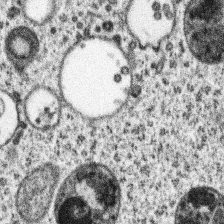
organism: Human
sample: HeLa cells